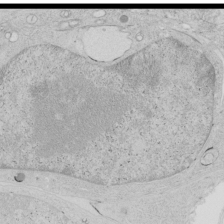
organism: Human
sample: Mitochondria in HCT116 cells